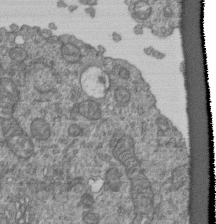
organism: Human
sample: Retinal organoid Rod and Cone cells